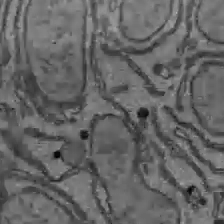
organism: C57BL Mouse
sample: Liver